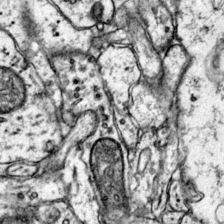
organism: Mouse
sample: Primary visual cortex